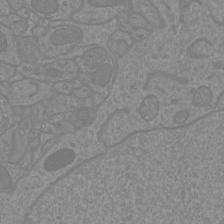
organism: Mouse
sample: Cortical neurons